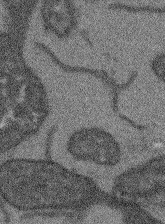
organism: Arabidopsis thaliana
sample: Root tip